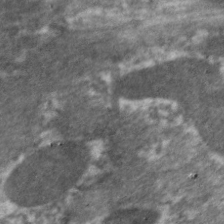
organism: C. elegans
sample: Pharynx